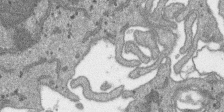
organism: Human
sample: Lung epithelial cells infected with SARS-CoV-2